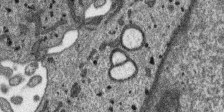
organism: Human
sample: Lung epithelial cells infected with SARS-CoV-2